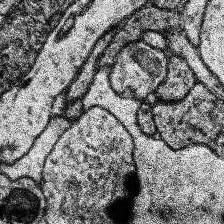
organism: Human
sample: Temporal Lobe